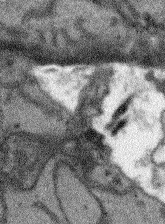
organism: Arabidopsis thaliana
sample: Root tip